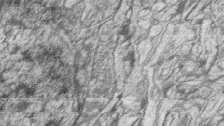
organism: Zebrafish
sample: synaptic ribbons in rod cells and cone cells